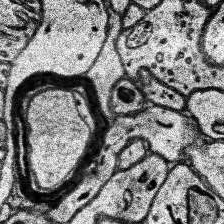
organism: Human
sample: Temporal Lobe